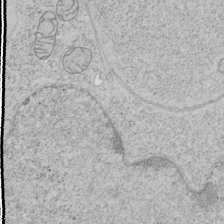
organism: Human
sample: Mitochondria in HCT116 cells